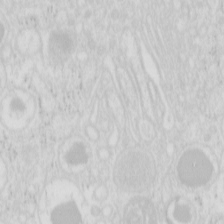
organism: Mouse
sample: Pancreas